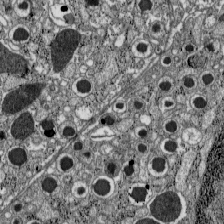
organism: C57BL Mouse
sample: Pancreatic islet